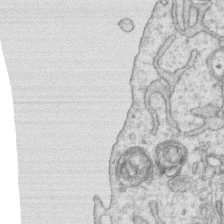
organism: Human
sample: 1205lu cells